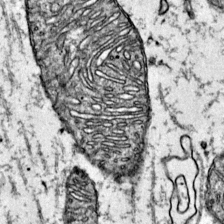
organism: Mouse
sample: Primary visual cortex